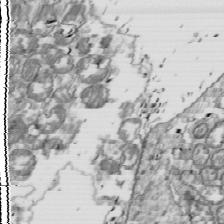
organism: Drosophila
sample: Cell division; meiosis; drosophila spermatocytes